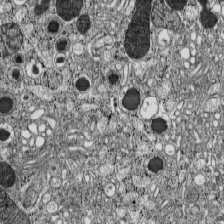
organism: C57BL Mouse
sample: Pancreatic islet